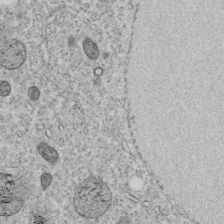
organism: C. elegans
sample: C. elegans embryo early stage